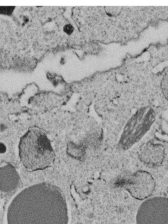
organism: C. elegans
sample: C. elegans embryo early stage